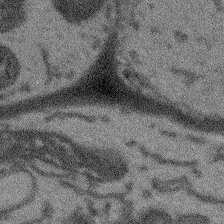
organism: Arabidopsis thaliana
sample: Root tip